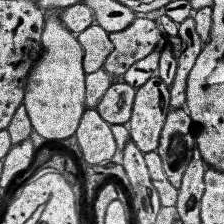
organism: Human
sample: Temporal Lobe